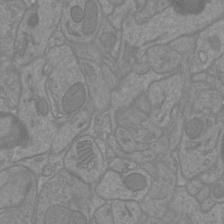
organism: Mouse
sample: Cortical neurons